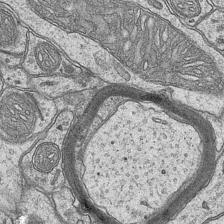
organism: Mouse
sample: CA1 Hippocampus